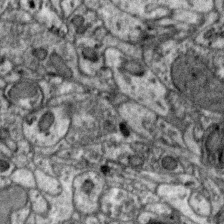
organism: Zebra finch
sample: Brain